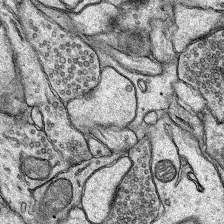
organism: Rat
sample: Hippocampus